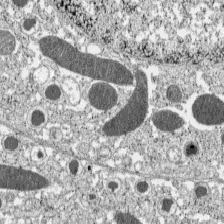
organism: C57BL Mouse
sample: Pancreatic islet